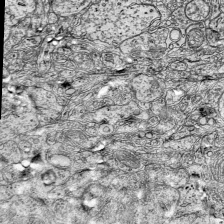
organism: Mouse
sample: Visual Cortex